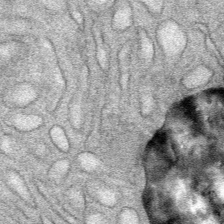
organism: Mouse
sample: Mouse Salivary gland